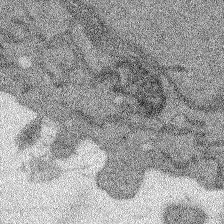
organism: Human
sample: HeLa cells